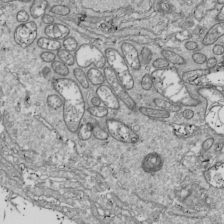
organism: Drosophila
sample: Cell division; meiosis; drosophila spermatocytes